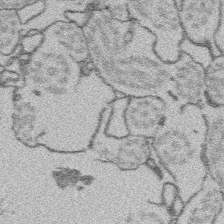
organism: Platynereis dumerilii